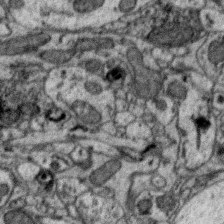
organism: Zebra finch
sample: Brain